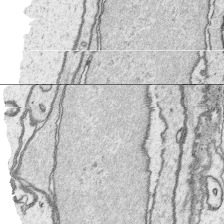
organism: Platynereis dumerilii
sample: Parapodia